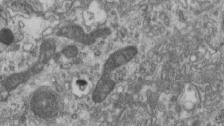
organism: Mouse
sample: Centriole in ependymal cells